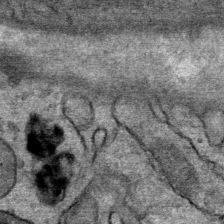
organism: Mouse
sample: Mouse Salivary gland